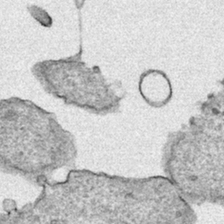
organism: Human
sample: Mitochondria in HCT116 cells